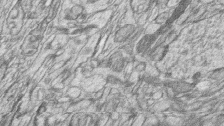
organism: Zebrafish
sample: synaptic ribbons in rod cells and cone cells